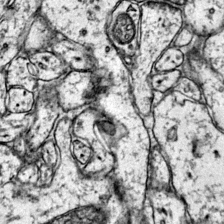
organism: Mouse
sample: Primary visual cortex